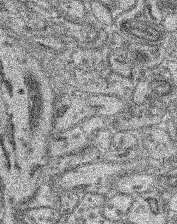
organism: Mouse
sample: Retina